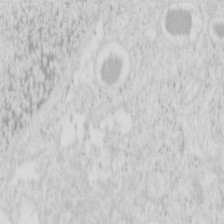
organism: Mouse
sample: Pancreas